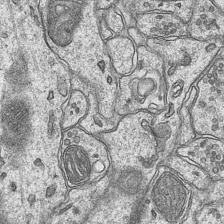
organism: Mouse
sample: CA1 Hippocampus